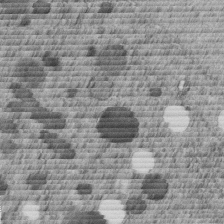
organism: C. elegans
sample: C. elegans embryo early stage